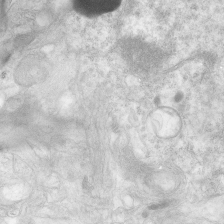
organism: Human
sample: Neocortex